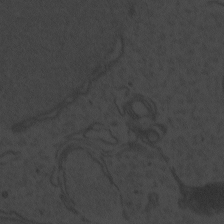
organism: Zebrafish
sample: Macrophage infected with Toxoplasma gondii